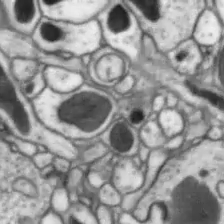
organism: Drosophila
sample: Optic lobe